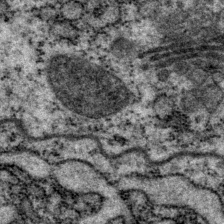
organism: P. pacificus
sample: Pharynx